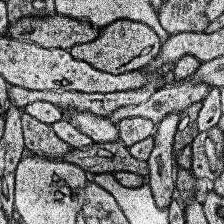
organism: Human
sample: Temporal Lobe